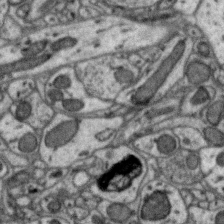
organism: Zebra finch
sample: Brain